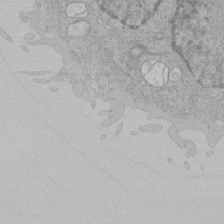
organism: Human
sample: Mitochondria in HCT116 cells